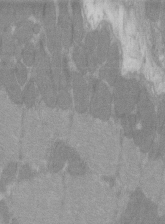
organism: C57BL Mouse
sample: Tibialis anterior muscle cell